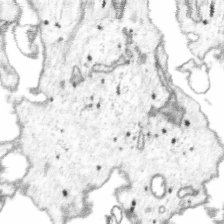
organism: Human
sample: HeLa cells